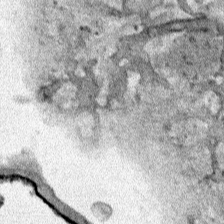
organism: Human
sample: Mitochondria in HCT116 cells